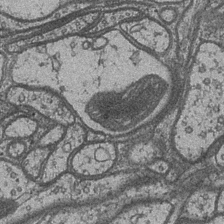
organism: Drosophila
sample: Optic medulla